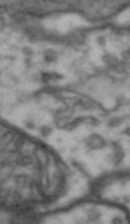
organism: Drosophila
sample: Brain